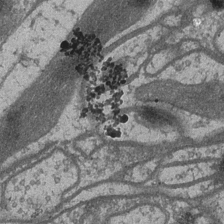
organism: Drosophila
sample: Optic medulla